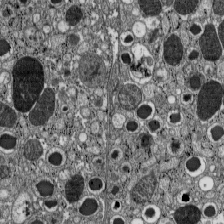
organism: C57BL Mouse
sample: Pancreatic islet